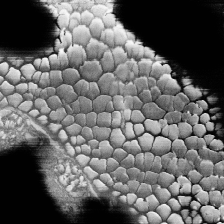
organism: Tetrahymena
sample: Cilia in tetrahymena